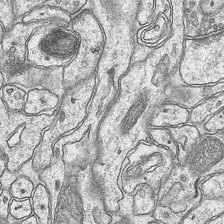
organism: Mouse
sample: CA1 Hippocampus